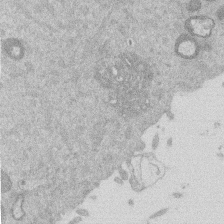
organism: Mouse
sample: Dividing mouse embryo 1 cell stage